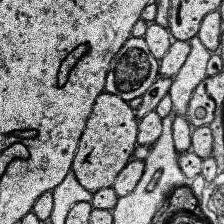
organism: Human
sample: Temporal Lobe